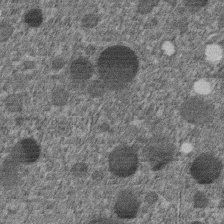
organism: C. elegans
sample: C. elegans embryo early stage